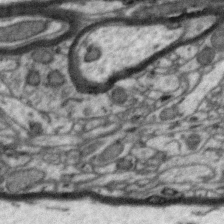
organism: Zebra finch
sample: Brain